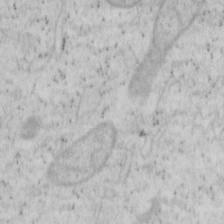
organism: Human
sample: HeLa cells